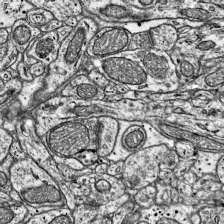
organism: Mouse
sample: Visual Cortex